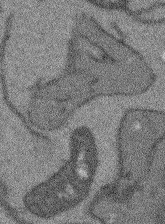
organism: Arabidopsis thaliana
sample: Root tip